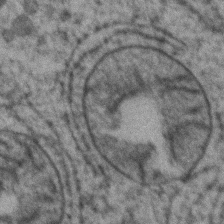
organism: Zebrafish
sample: Zebrafish embryo